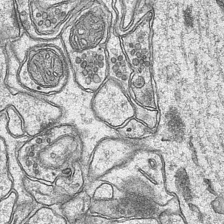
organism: Mouse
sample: CA1 Hippocampus